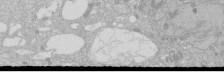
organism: Human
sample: Caco-2 cells